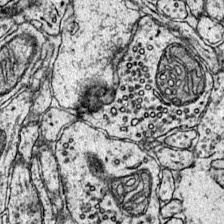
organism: Mouse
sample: Primary visual cortex